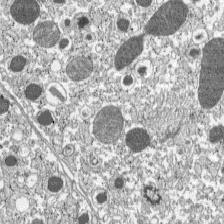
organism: C57BL Mouse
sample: Pancreatic islet